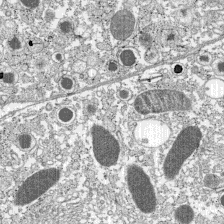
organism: C57BL Mouse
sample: Pancreatic islet